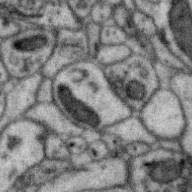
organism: Zebra finch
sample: Brain